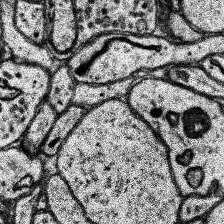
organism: Human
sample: Temporal Lobe